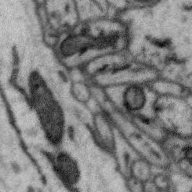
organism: Zebra finch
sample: Brain